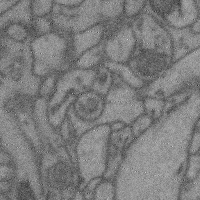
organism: Mouse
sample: Cerebral cortex